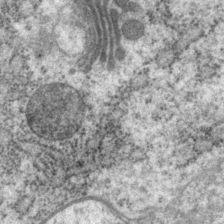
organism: P. pacificus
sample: Pharynx